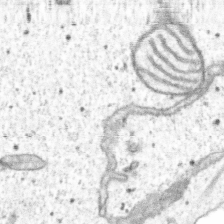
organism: Human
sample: HeLa cells